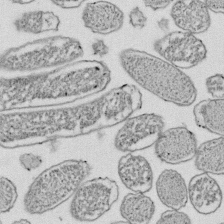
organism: E. coli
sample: Bacterial nucleoid